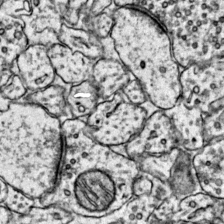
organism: Mouse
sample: Primary visual cortex